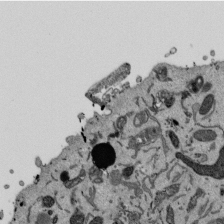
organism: Mouse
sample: ED-1 cell nuclei; centrioles